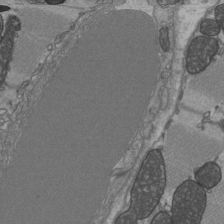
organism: C57BL Mouse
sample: Heart